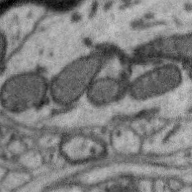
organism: Zebra finch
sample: Brain